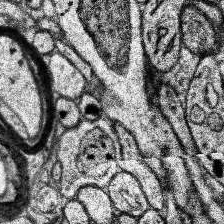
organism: Human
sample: Temporal Lobe